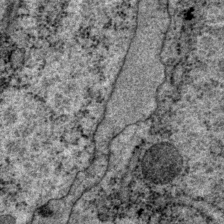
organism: P. pacificus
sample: Pharynx